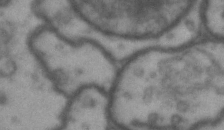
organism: Drosophila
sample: Brain